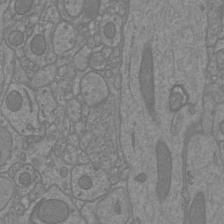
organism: Mouse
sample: Cortical neurons